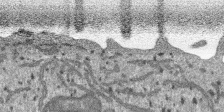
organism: Human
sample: Lung epithelial cells infected with SARS-CoV-2